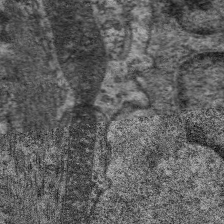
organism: C. elegans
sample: Pharynx